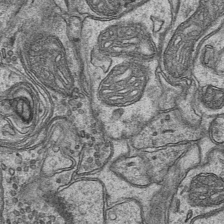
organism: Mouse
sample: CA1 Hippocampus